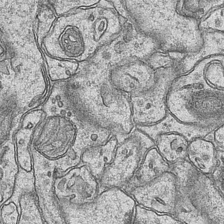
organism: Mouse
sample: CA1 Hippocampus